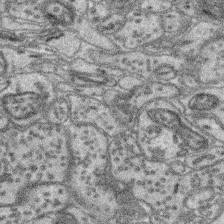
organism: Mouse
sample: Retina